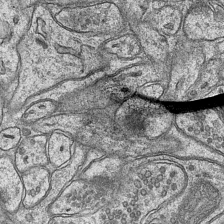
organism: Mouse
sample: CA1 Hippocampus